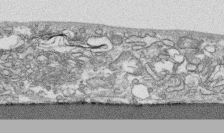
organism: Human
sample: CRL-1474